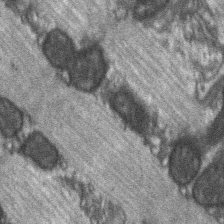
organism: C57BL Mouse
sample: Soleus